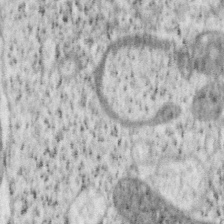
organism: Mouse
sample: OT-I killer T cells with ID8 ovarian cancer cells